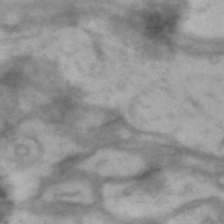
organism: Drosophila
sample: Brain